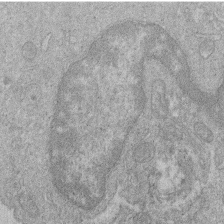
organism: Human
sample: Macrophage cells